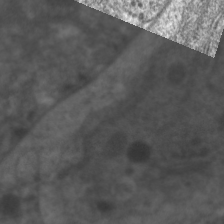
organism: C. elegans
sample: Pharynx